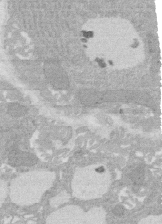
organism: Rat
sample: Salivary granule